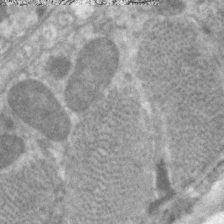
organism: C. elegans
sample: Pharynx